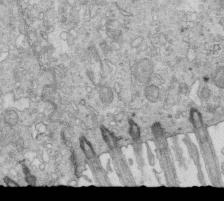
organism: Mouse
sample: Multiciliated cells